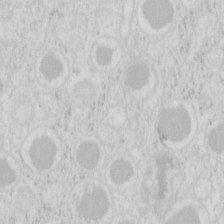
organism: Mouse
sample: Pancreas